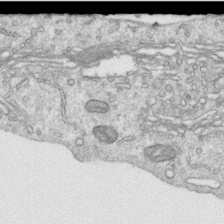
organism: Human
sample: Centriole in RPE cells